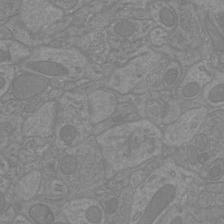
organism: Mouse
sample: Cortical neurons